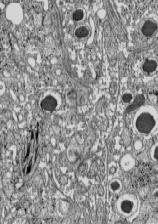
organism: C57BL Mouse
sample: Pancreatic islet